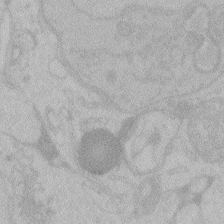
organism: Zebrafish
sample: Macrophage infected with Toxoplasma gondii